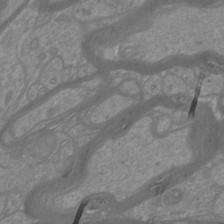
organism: Mouse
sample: Cortical neurons